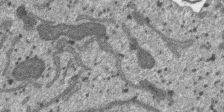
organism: Human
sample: Lung epithelial cells infected with SARS-CoV-2